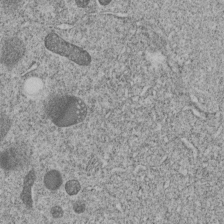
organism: C. elegans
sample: C. elegans embryo early stage